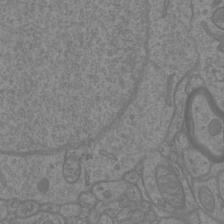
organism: Mouse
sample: Cortical neurons